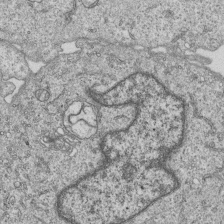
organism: Human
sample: MDA-MB-231 cells